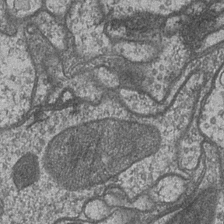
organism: Drosophila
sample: Optic medulla